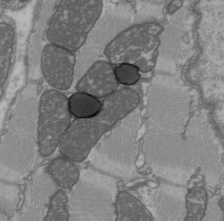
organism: C57BL Mouse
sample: Heart